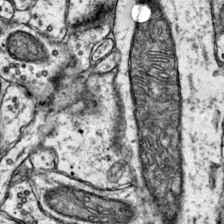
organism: Mouse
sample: Primary visual cortex